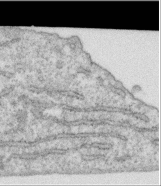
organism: Human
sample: Centriole in RPE cells